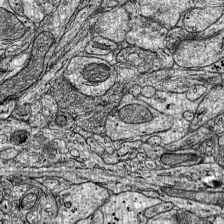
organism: Mouse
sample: Visual Cortex